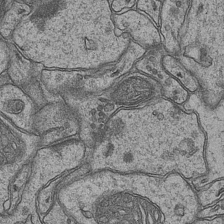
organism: Mouse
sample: CA1 Hippocampus